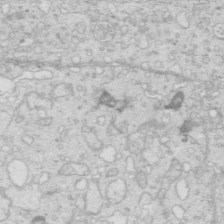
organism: Mouse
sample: Multiciliated cells